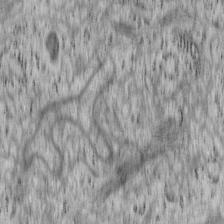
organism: Human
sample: HeLa cells